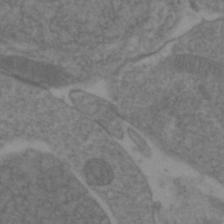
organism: Zebrafish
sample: Zebrafish embryo